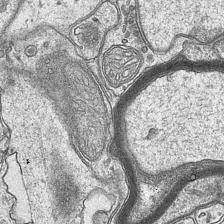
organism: Mouse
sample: CA1 Hippocampus